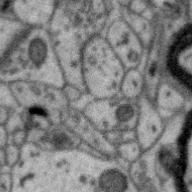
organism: Zebra finch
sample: Brain